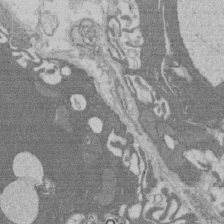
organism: Rat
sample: Salivary granule